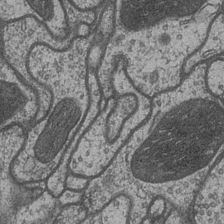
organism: Drosophila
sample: Optic medulla